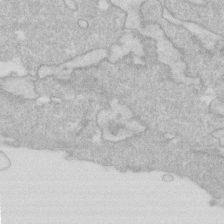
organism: Human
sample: Fibroblast cells